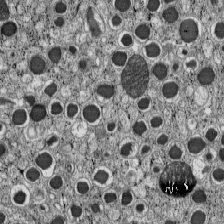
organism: C57BL Mouse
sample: Pancreatic islet